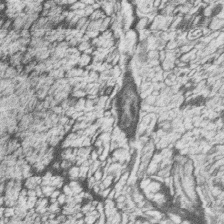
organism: Zebrafish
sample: synaptic ribbons in rod cells and cone cells